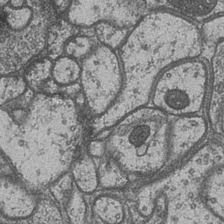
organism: Drosophila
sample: Optic medulla